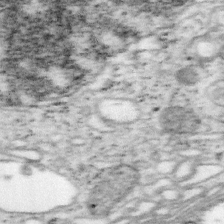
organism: Mouse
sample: OT-I killer T cells with ID8 ovarian cancer cells